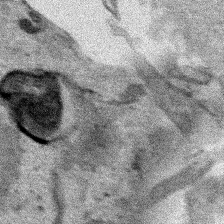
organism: Human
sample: Mitochondria in HCT116 cells